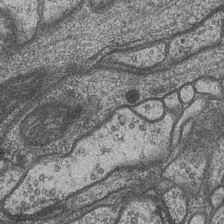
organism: Drosophila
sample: Optic medulla